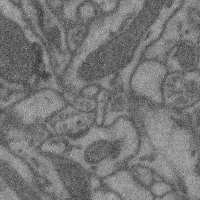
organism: Mouse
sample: Cerebral cortex